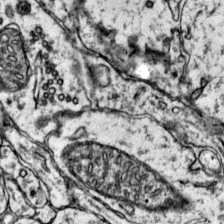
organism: Mouse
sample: Primary visual cortex